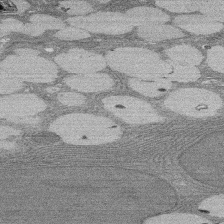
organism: Rat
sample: Salivary granule